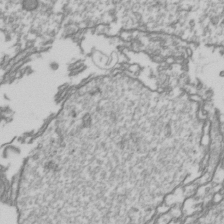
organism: Drosophila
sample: Cell division; meiosis; drosophila spermatocytes